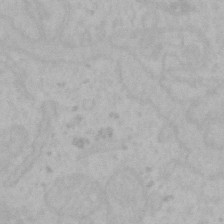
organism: Mouse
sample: Choroid plexus